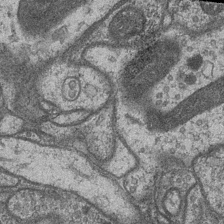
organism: Drosophila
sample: Optic medulla